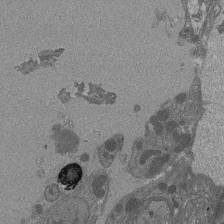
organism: Drosophila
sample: Antenna